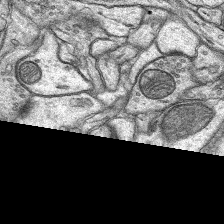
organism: Rat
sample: Hippocampus